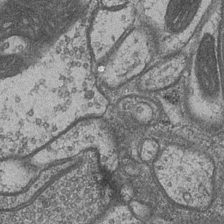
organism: Drosophila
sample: Optic medulla